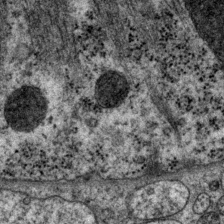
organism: P. pacificus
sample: Pharynx